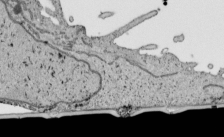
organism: Human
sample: Mitochondria in HCT116 cells